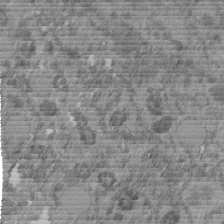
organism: C. elegans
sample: C. elegans embryo early stage